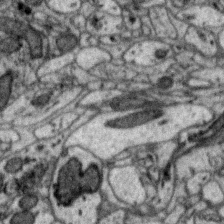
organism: Zebra finch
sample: Brain